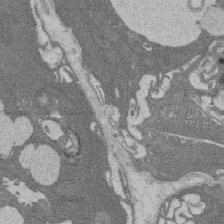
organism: Rat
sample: Salivary granule